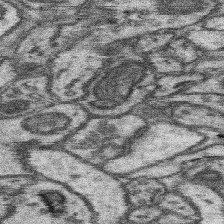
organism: Mouse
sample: Somatosensory cortex neuropil